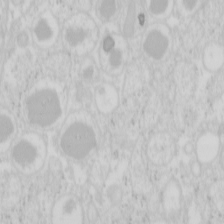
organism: Mouse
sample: Pancreas